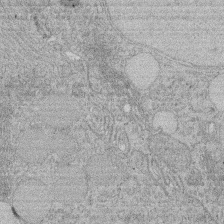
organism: Rat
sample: Salivary granule